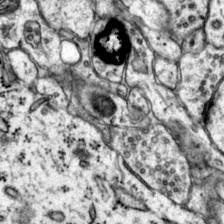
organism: Mouse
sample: Primary visual cortex